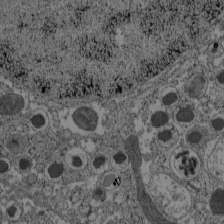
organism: C57BL Mouse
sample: Pancreatic islet